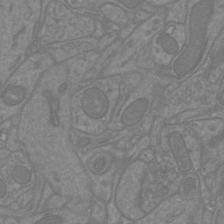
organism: Mouse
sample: Cortical neurons